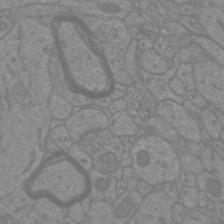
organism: Mouse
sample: Cortical neurons